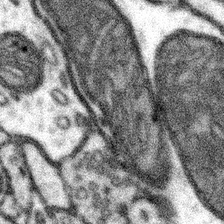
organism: Mouse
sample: Somatosensory cortex neuropil